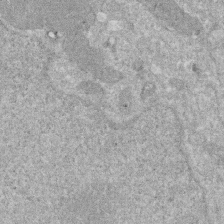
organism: Human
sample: HIV infected U937 cells